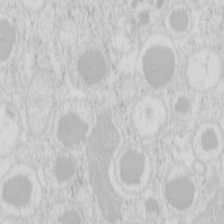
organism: Mouse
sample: Pancreas